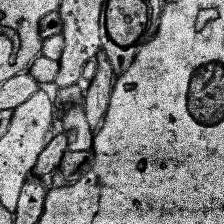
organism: Human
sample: Temporal Lobe